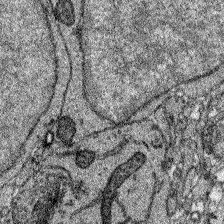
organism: Zebrafish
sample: Larval olfactory bulb